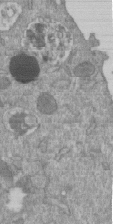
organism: Mouse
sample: ED-1 cell nuclei; centrioles